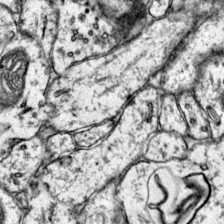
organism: Mouse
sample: Primary visual cortex